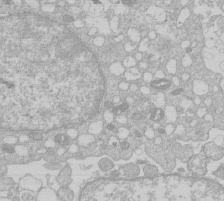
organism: Human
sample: Macrophage cells